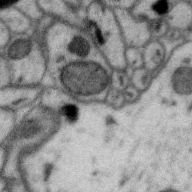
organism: Zebra finch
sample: Brain